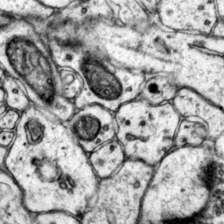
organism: Mouse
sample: Primary visual cortex